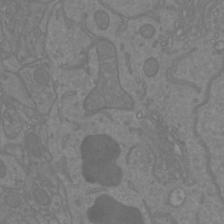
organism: Mouse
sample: Cortical neurons